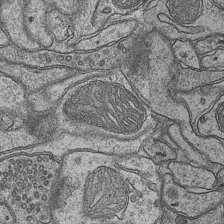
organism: Mouse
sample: CA1 Hippocampus